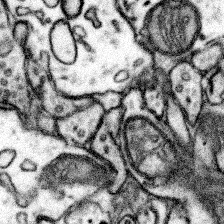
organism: Mouse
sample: Somatosensory cortex neuropil